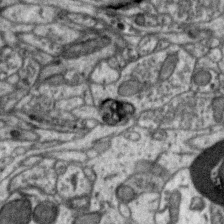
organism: Zebra finch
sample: Brain